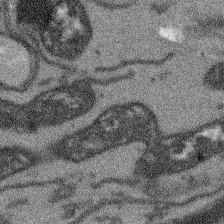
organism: Arabidopsis thaliana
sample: Root tip